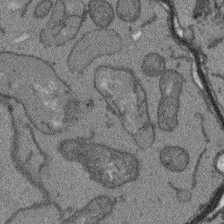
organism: Arabidopsis thaliana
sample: Root tip